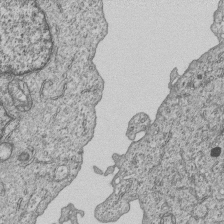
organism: Human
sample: MDA-MB-231 cells